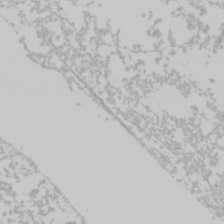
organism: Mouse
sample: Cancer cell death in ED-1 cells